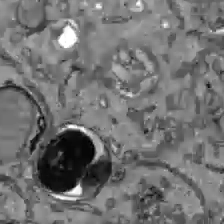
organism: C57BL Mouse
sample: Liver